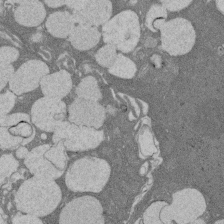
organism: Rat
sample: Salivary granule